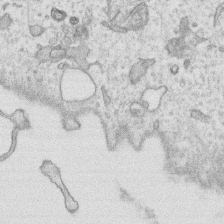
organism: Human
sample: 1205lu cells